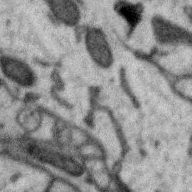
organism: Zebra finch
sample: Brain